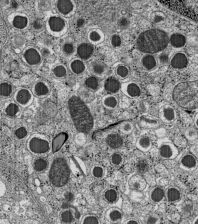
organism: C57BL Mouse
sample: Pancreatic islet